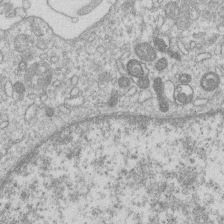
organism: Human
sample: Macrophage cells